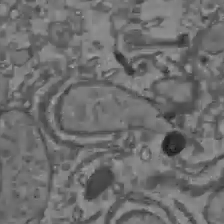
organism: C57BL Mouse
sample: Liver